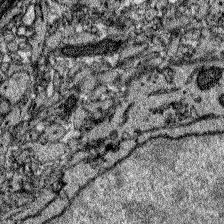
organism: Zebrafish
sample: Larval olfactory bulb